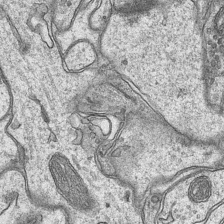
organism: Mouse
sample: CA1 Hippocampus